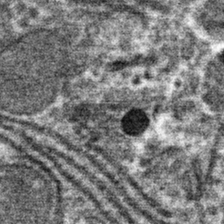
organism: Mouse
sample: Mouse hepatocytes